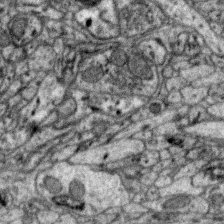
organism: Zebra finch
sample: Brain